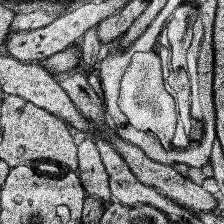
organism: Human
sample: Temporal Lobe